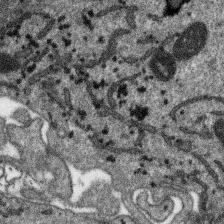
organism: Human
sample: Lung epithelial cells infected with SARS-CoV-2